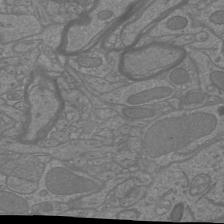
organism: Mouse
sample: Cortical neurons